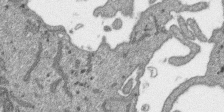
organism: Human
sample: Lung epithelial cells infected with SARS-CoV-2